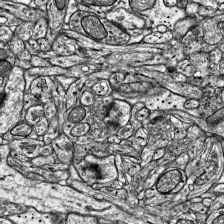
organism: Mouse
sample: Visual Cortex